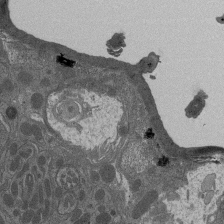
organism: Drosophila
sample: Antenna